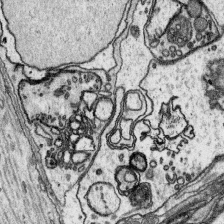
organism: Platynereis dumerilii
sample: Parapodia